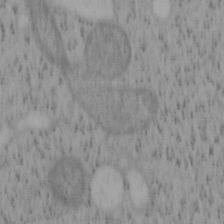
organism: Mouse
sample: OT-I killer T cells with ID8 ovarian cancer cells